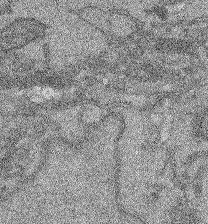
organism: Human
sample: HeLa cells